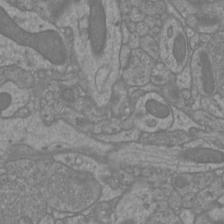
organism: Mouse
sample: Cortical neurons